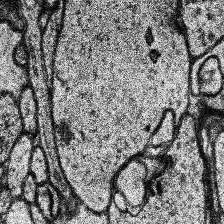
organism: Human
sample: Temporal Lobe